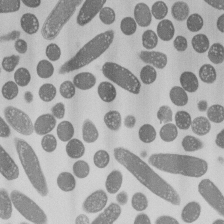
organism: E. coli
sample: Bacterial nucleoid